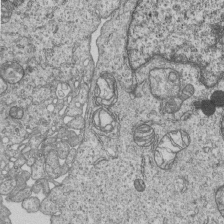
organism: Human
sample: MDA-MB-231 cells